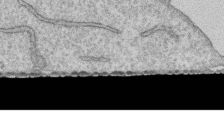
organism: Human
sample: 1205lu cells